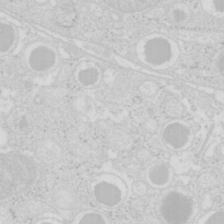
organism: Mouse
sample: Pancreas